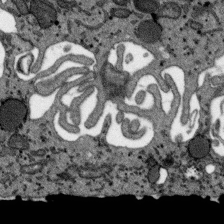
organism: Human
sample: Lung epithelial cells, uninfected (mock) control